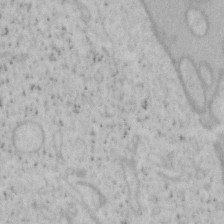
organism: Human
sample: HeLa cells